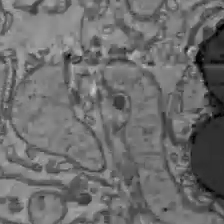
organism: C57BL Mouse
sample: Liver